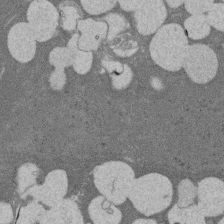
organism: Rat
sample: Salivary granule